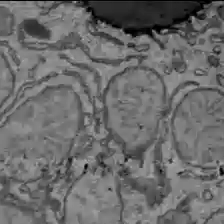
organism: C57BL Mouse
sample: Liver